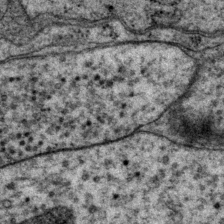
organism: P. pacificus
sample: Pharynx